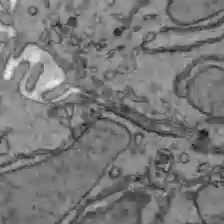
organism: C57BL Mouse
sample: Liver